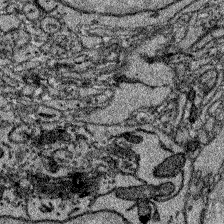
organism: Zebrafish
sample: Larval olfactory bulb